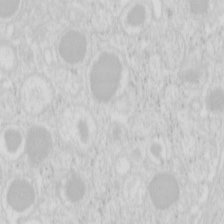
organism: Mouse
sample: Pancreas